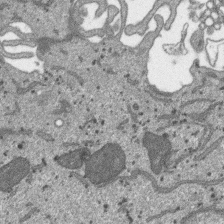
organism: Human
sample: Lung epithelial cells infected with SARS-CoV-2